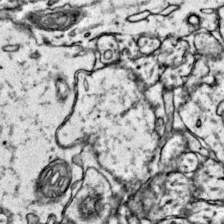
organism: Mouse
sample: Primary visual cortex